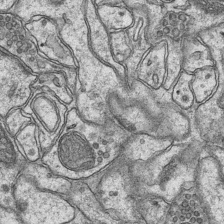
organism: Mouse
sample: CA1 Hippocampus